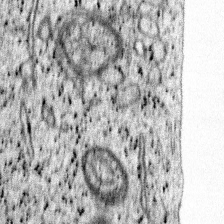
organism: Human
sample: HeLa cells